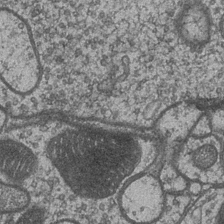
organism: Drosophila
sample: Optic medulla